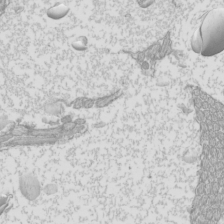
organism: Mouse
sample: Cilia; mouse epididymis